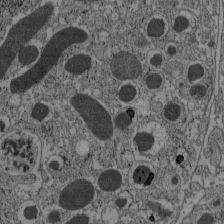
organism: C57BL Mouse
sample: Pancreatic islet